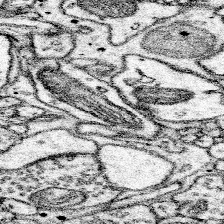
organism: Mouse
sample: Somatosensory cortex neuropil